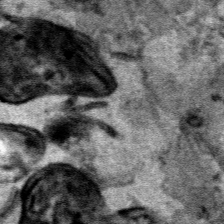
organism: Human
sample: Mitochondria in HCT116 cells